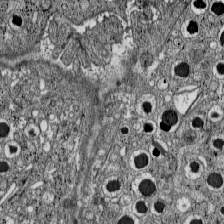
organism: C57BL Mouse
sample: Pancreatic islet